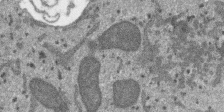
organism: Human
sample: Lung epithelial cells infected with SARS-CoV-2